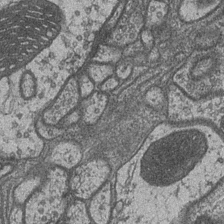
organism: Drosophila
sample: Optic medulla